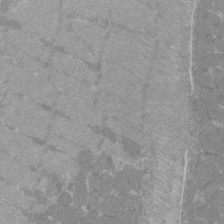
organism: C57BL Mouse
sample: Tibialis anterior muscle cell